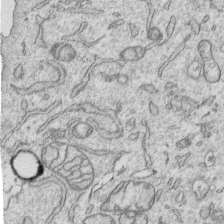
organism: Human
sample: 1205lu cells